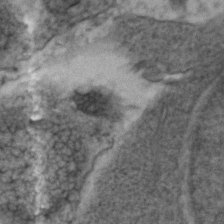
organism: Zebrafish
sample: Zebrafish embryo